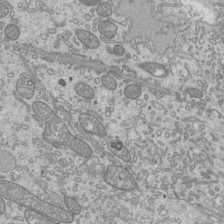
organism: Mouse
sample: Cilia; mouse epididymis